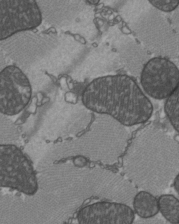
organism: C57BL Mouse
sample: Heart